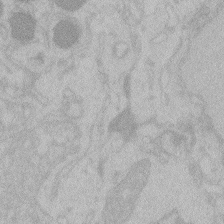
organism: Zebrafish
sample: Macrophage infected with Toxoplasma gondii